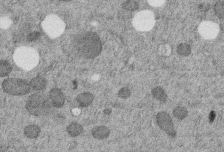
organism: C. elegans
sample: C. elegans embryo early stage